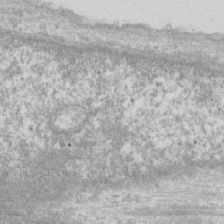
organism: Human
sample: Fibroblast cells